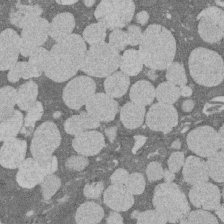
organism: Rat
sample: Salivary granule